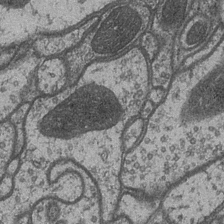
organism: Drosophila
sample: Optic medulla